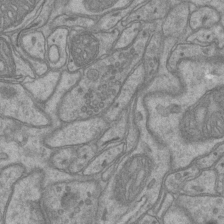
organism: Mouse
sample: CA1 Hippocampus